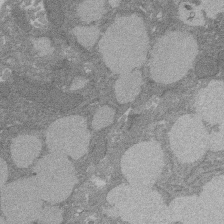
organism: Rat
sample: Salivary granule